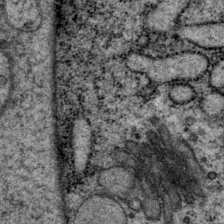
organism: P. pacificus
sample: Pharynx